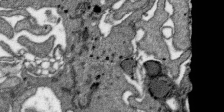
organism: Human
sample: Lung epithelial cells, uninfected (mock) control